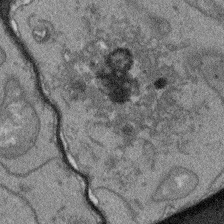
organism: Arabidopsis thaliana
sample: Root tip